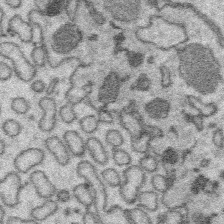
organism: Platynereis dumerilii